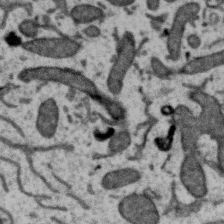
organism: Zebra finch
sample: Brain